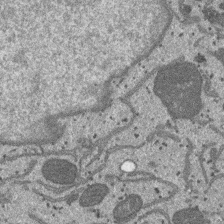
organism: Human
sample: Lung epithelial cells infected with SARS-CoV-2